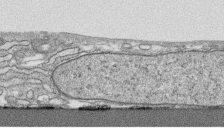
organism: Human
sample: CRL-1474